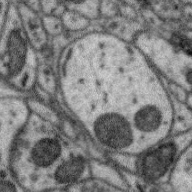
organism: Zebra finch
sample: Brain